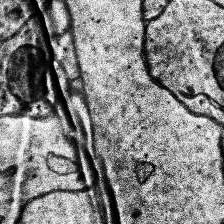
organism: Human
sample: Temporal Lobe